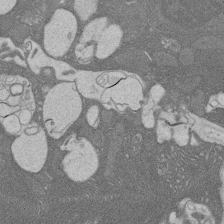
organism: Rat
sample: Salivary granule